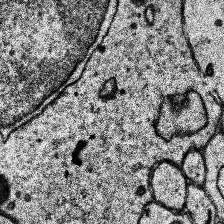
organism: Human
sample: Temporal Lobe